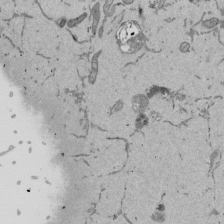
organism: Mouse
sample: ED-1 cell nuclei; centrioles